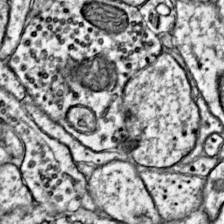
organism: Mouse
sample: Primary visual cortex